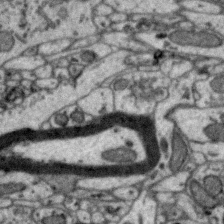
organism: Zebra finch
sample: Brain